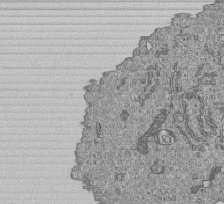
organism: Human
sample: MDA-MB-231 cells